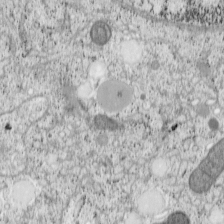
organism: African green monkey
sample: COS-7 cells